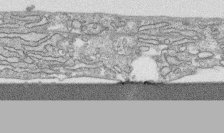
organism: Human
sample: CRL-1474